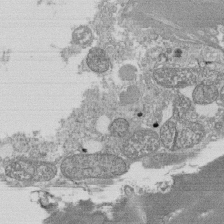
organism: Tetrahymena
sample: Cilia in tetrahymena